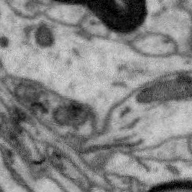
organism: Zebra finch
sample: Brain